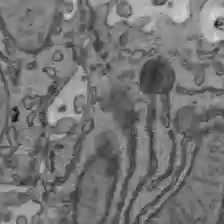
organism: C57BL Mouse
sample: Liver